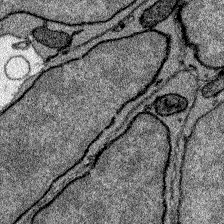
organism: Zebrafish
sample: Larval olfactory bulb